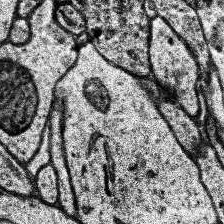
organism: Human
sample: Temporal Lobe